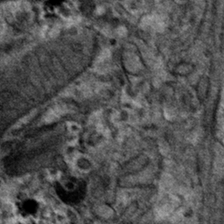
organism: Mouse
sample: Mouse hepatocytes